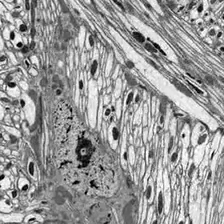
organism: Drosophila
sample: Optic lobe